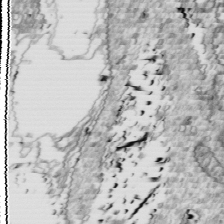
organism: Drosophila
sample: Cell division; meiosis; drosophila spermatocytes